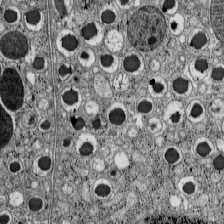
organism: C57BL Mouse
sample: Pancreatic islet